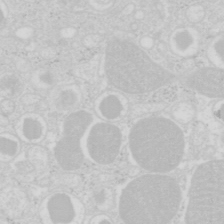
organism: Mouse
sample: Pancreas